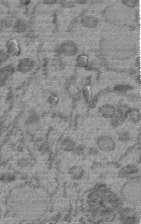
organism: C. elegans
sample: C. elegans embryo early stage